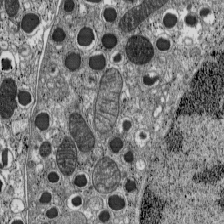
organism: C57BL Mouse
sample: Pancreatic islet